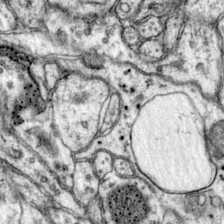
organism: Mouse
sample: Primary visual cortex